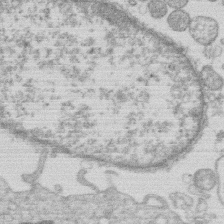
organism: Human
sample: Macrophage cells